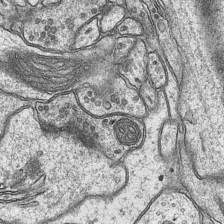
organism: Mouse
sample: CA1 Hippocampus